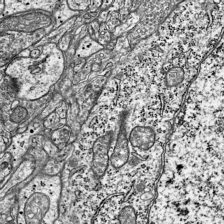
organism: Mouse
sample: Visual Cortex